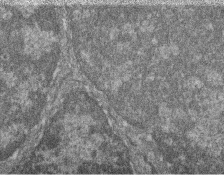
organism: Zebrafish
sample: Cilia; retinal pigment epithelium